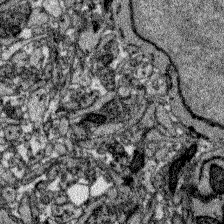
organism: Zebrafish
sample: Larval olfactory bulb